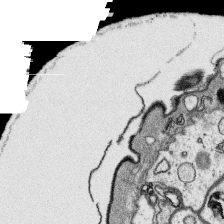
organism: Platynereis dumerilii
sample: Parapodia